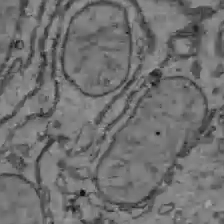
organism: C57BL Mouse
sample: Liver